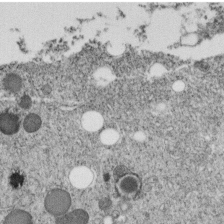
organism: C. elegans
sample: C. elegans embryo early stage